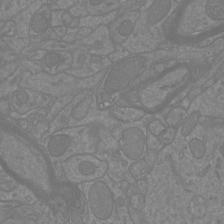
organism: Mouse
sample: Cortical neurons